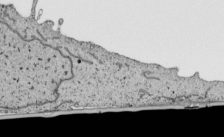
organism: Human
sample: Mitochondria in HCT116 cells